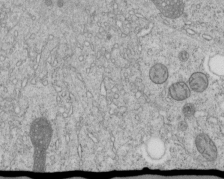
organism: C. elegans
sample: C. elegans embryo early stage